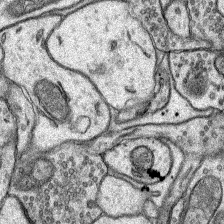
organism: Rat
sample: Hippocampus